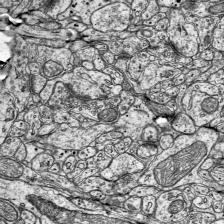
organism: Mouse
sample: Visual Cortex